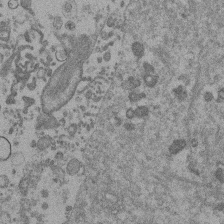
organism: Mouse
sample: Dividing mouse embryo 1 cell stage